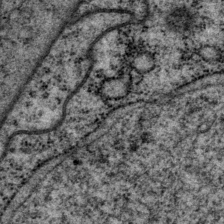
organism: P. pacificus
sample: Pharynx